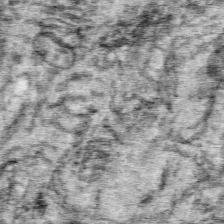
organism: Human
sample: HeLa cells